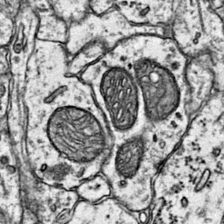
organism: Mouse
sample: Primary visual cortex